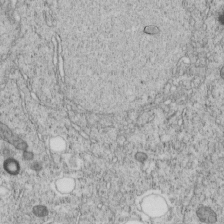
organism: C. elegans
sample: C. elegans embryo early stage